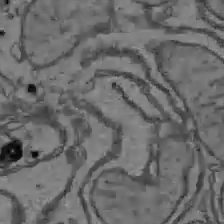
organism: C57BL Mouse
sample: Liver